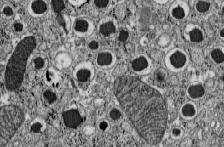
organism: C57BL Mouse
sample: Pancreatic islet